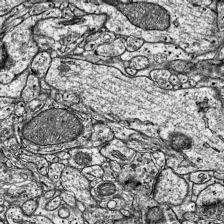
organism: Mouse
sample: Visual Cortex